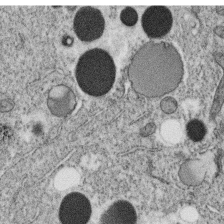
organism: C. elegans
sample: C. elegans oocyte; sperm cells